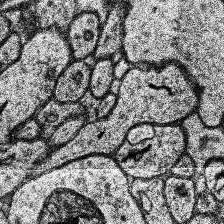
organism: Human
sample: Temporal Lobe